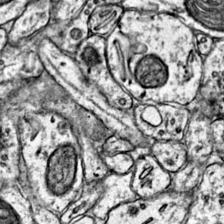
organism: Mouse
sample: Primary visual cortex